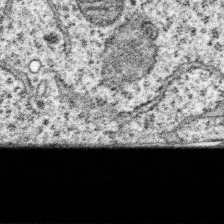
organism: Human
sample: HeLa cells